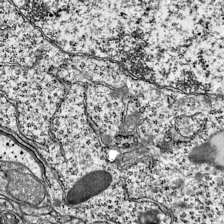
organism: Mouse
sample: Visual Cortex